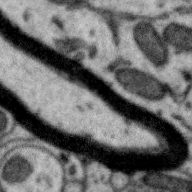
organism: Zebra finch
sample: Brain